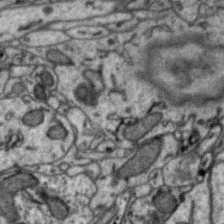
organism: Zebra finch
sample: Brain